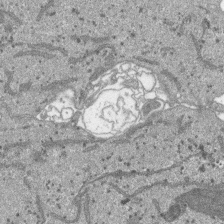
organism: Human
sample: Lung epithelial cells infected with SARS-CoV-2